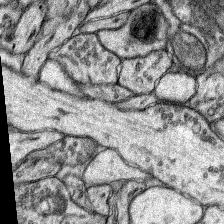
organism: Rat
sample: Hippocampus